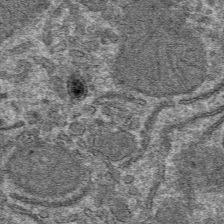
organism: Mouse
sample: Mouse hepatocytes